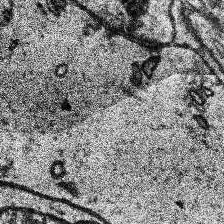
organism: Human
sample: Temporal Lobe